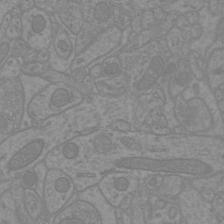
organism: Mouse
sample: Cortical neurons